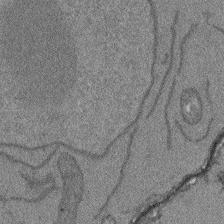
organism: Arabidopsis thaliana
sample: Root tip